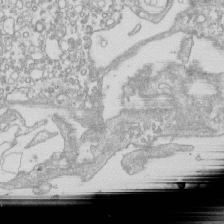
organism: Mouse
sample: Macrophages